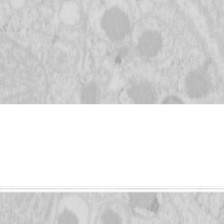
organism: Mouse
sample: Pancreas